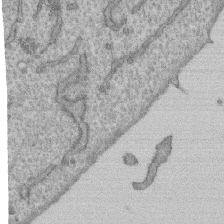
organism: Human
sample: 1205lu cells